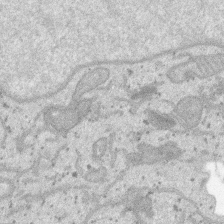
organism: Human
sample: Lung epithelial cells infected with SARS-CoV-2